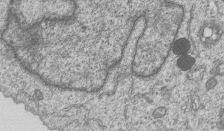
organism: Human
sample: MDA-MB-231 cells